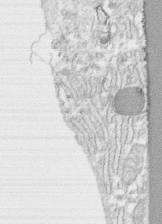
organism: Human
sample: CRL-1474